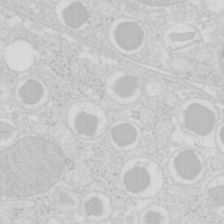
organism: Mouse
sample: Pancreas